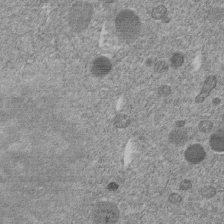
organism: C. elegans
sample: C. elegans embryo early stage